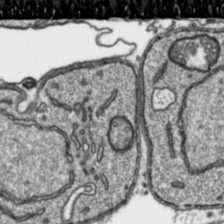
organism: Toxoplasma gondii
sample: Parasites in a vacuole inside a host cell